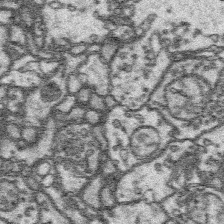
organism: Platynereis dumerilii